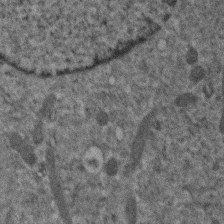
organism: Human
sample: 1205lu cells